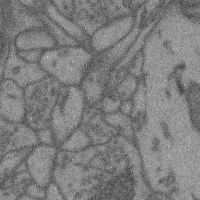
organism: Mouse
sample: Cerebral cortex